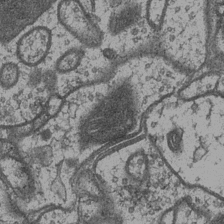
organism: Drosophila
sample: Optic medulla